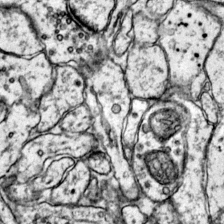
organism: Mouse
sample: Primary visual cortex